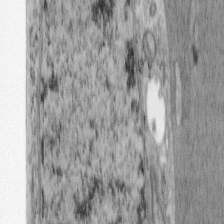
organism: Human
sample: HeLa cells